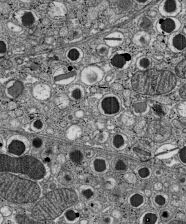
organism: C57BL Mouse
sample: Pancreatic islet